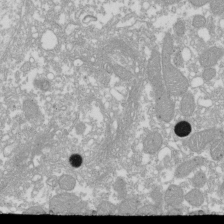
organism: Xenopus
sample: Cilia; centrioles in frog embryo cells